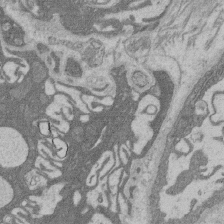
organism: Rat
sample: Salivary granule